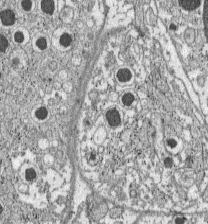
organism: C57BL Mouse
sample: Pancreatic islet